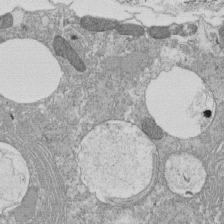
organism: Tetrahymena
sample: Cilia in tetrahymena